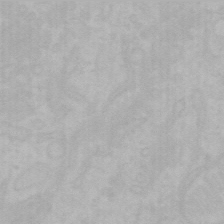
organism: Mouse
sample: Choroid plexus